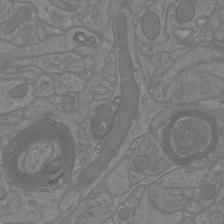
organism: Mouse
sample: Cortical neurons